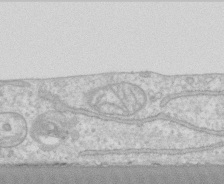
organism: Human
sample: CRL-1474